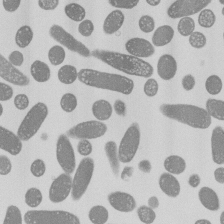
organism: E. coli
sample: Bacterial nucleoid